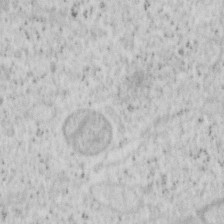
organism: Human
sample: HeLa cells